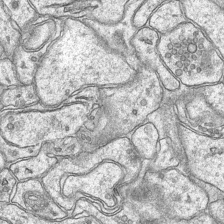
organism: Mouse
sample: CA1 Hippocampus